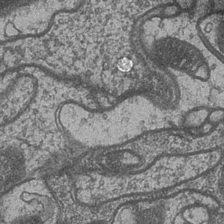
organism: Drosophila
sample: Optic medulla